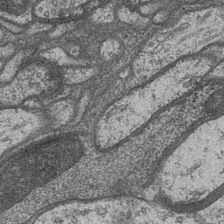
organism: Drosophila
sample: Optic medulla